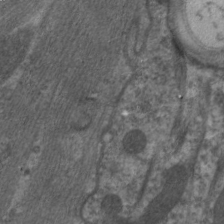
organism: C. elegans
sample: Pharynx